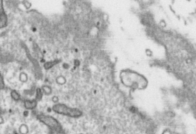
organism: Toxoplasma gondii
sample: Parasites in a vacuole inside a host cell